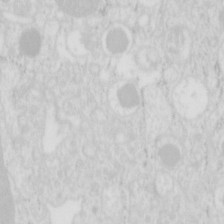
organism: Mouse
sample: Pancreas